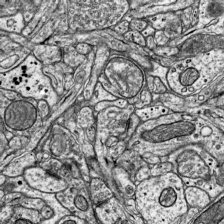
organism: Mouse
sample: Visual Cortex